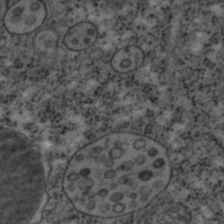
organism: C. elegans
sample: C. elegans embryo